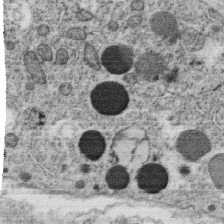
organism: C. elegans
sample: C. elegans oocyte; sperm cells